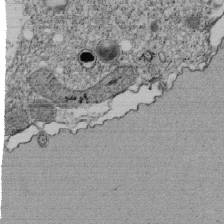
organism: Tetrahymena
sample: Cilia in tetrahymena